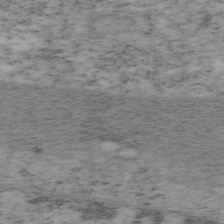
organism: Mouse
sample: OT-I killer T cells with ID8 ovarian cancer cells